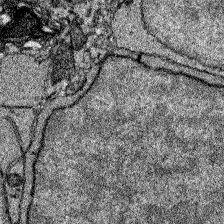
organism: Zebrafish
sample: Larval olfactory bulb